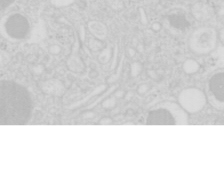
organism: Mouse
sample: Pancreas